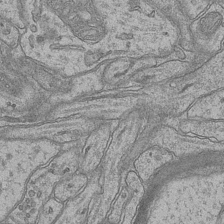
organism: Mouse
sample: CA1 Hippocampus